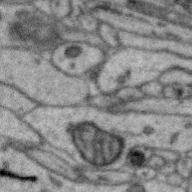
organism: Zebra finch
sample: Brain